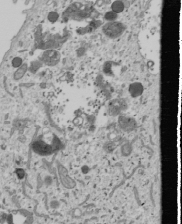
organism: Human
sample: Mitochondria in U2OS cells